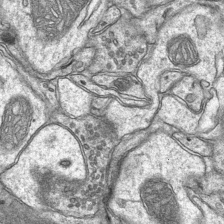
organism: Mouse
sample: CA1 Hippocampus